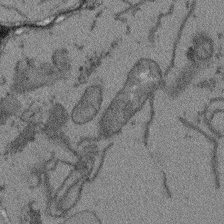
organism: Arabidopsis thaliana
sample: Root tip